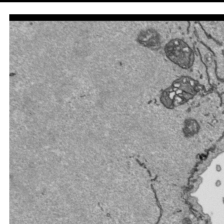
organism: Human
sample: Mitochondria in HCT116 cells